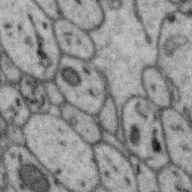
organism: Zebra finch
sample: Brain